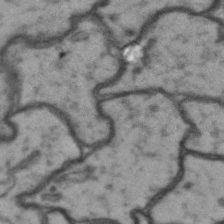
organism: Drosophila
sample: Brain